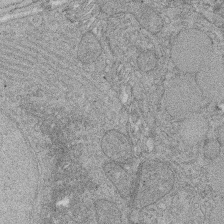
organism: Rat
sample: Salivary granule